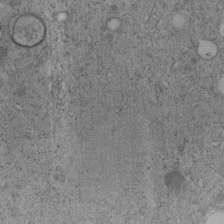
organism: C. elegans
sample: C. elegans embryo early stage